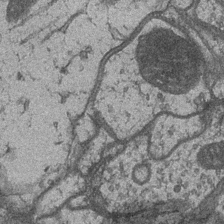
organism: Drosophila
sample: Optic medulla